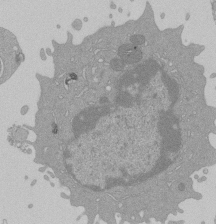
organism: Mouse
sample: Activated Pmel transgenic CD8+ T Cells